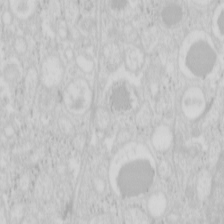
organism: Mouse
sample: Pancreas